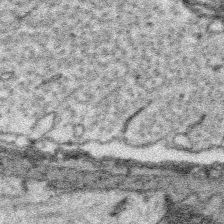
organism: Platynereis dumerilii